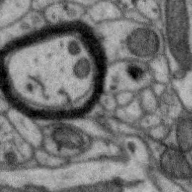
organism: Zebra finch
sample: Brain